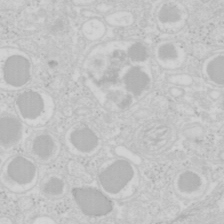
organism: Mouse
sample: Pancreas